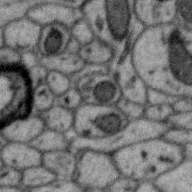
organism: Zebra finch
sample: Brain